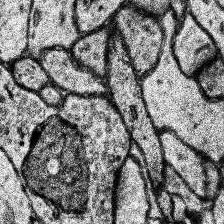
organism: Human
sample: Temporal Lobe